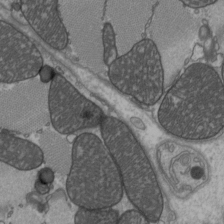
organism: C57BL Mouse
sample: Heart